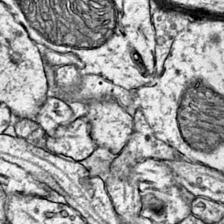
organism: Mouse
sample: Primary visual cortex